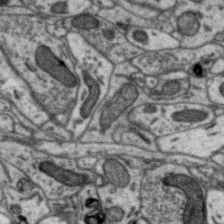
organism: Zebra finch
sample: Brain